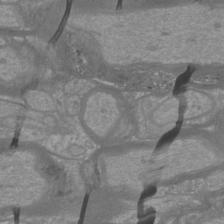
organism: Mouse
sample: Cortical neurons